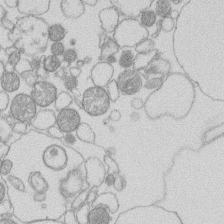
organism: Human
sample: Macrophage cells